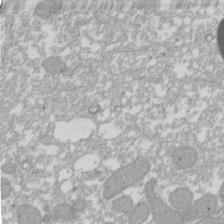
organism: Xenopus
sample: Cilia; centrioles in frog embryo cells